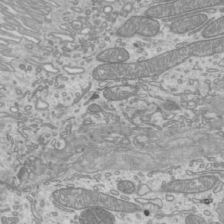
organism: Mouse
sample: Cilia; mouse epididymis